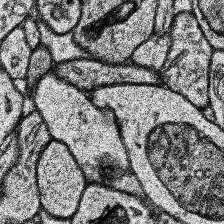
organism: Human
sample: Temporal Lobe